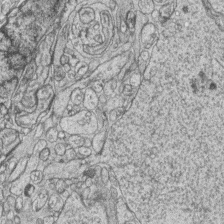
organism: Zebrafish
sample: synaptic ribbons in rod cells and cone cells